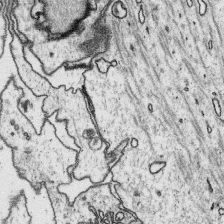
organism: Platynereis dumerilii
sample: Parapodia